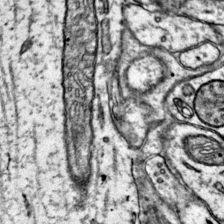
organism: Mouse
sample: Primary visual cortex